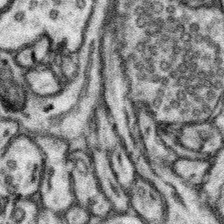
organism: Mouse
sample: Somatosensory cortex neuropil